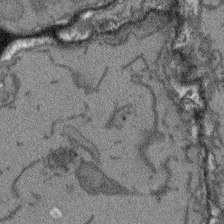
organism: Arabidopsis thaliana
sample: Root tip